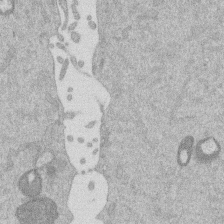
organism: Mouse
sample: Dividing mouse embryo 1 cell stage